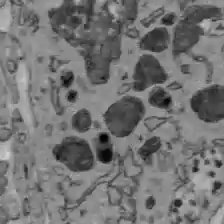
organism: C57BL Mouse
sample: Liver